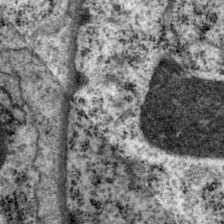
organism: P. pacificus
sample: Pharynx